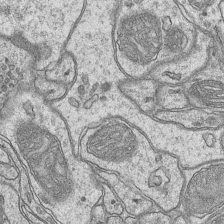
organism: Mouse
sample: CA1 Hippocampus